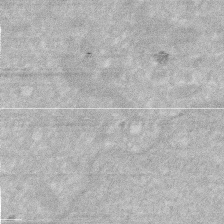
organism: Human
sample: HIV infected U937 cells